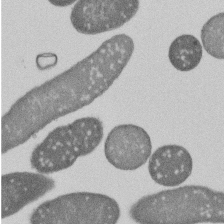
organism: E. coli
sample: Bacterial nucleoid